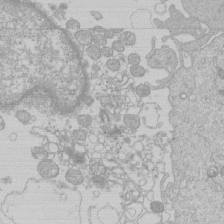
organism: Human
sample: Macrophage cells